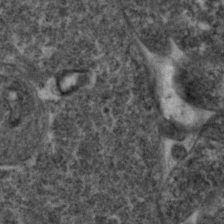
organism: Zebrafish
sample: Zebrafish embryo